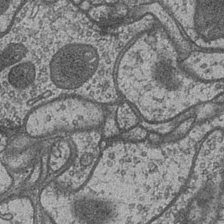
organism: Drosophila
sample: Optic medulla